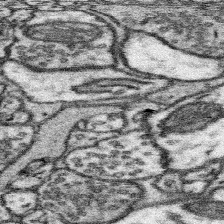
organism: Mouse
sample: Somatosensory cortex neuropil